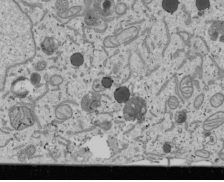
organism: Human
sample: Mitochondria in U2OS cells